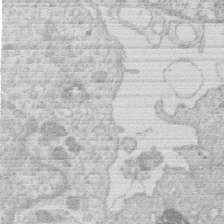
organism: Human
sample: Macrophage cells